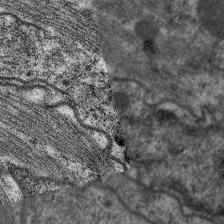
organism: C. elegans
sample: Pharynx